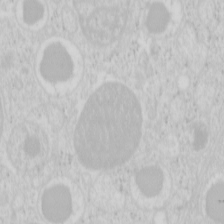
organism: Mouse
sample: Pancreas